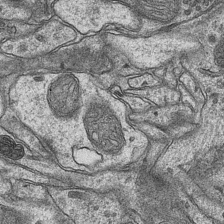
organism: Mouse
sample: CA1 Hippocampus